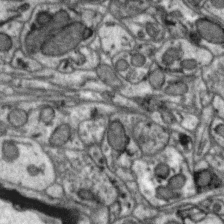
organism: Zebra finch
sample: Brain